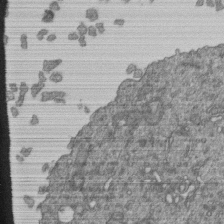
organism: Human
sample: Retinal organoid Rod and Cone cells